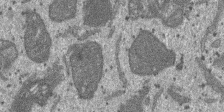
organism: Human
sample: Lung epithelial cells infected with SARS-CoV-2